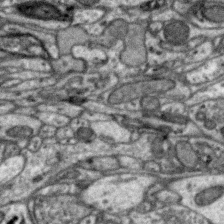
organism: Zebra finch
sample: Brain